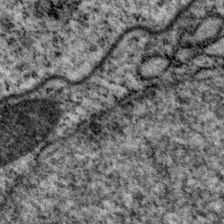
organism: P. pacificus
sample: Pharynx